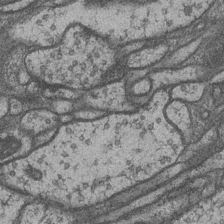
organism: Drosophila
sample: Optic medulla